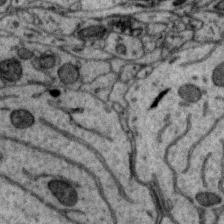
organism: Zebra finch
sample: Brain